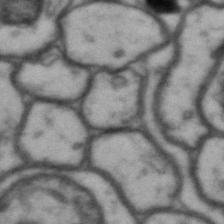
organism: Drosophila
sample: Brain